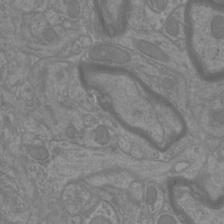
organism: Mouse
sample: Cortical neurons